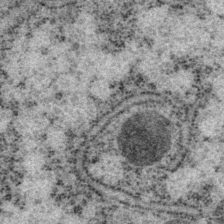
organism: P. pacificus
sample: Pharynx